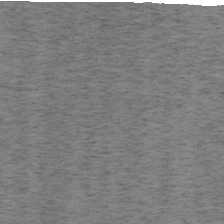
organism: Mouse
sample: OT-I killer T cells with ID8 ovarian cancer cells